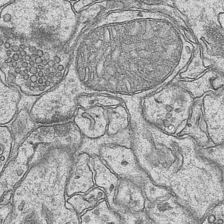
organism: Mouse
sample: CA1 Hippocampus